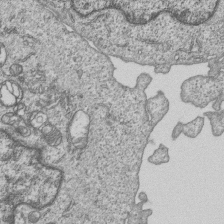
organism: Human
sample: MDA-MB-231 cells